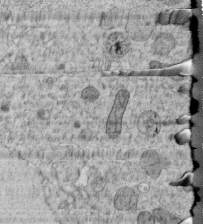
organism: C. elegans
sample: C. elegans embryo early stage